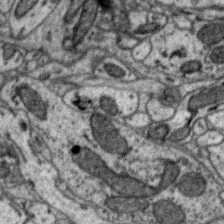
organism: Zebra finch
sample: Brain